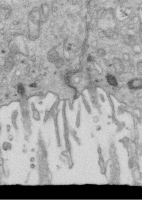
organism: Mouse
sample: Multiciliated cells